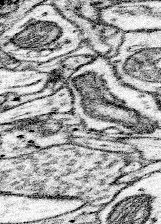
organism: Mouse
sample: Somatosensory cortex neuropil